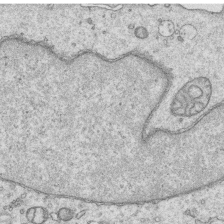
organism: Human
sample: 1205lu cells